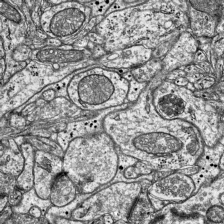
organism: Mouse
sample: Visual Cortex